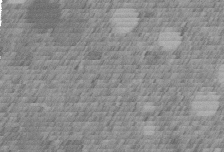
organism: C. elegans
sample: C. elegans embryo early stage